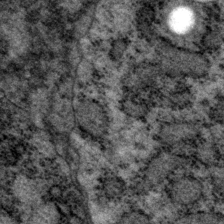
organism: P. pacificus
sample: Pharynx